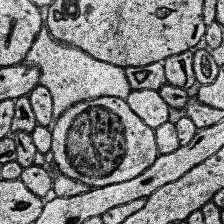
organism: Human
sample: Temporal Lobe